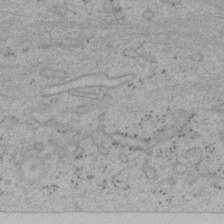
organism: Human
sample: HeLa cells